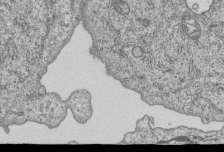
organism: Human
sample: MDA-MB-231 cells